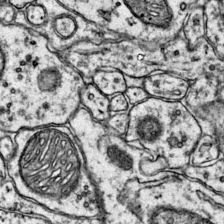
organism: Mouse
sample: Primary visual cortex